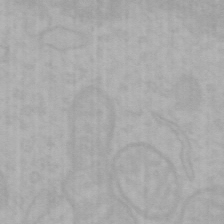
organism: Mouse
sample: Choroid plexus